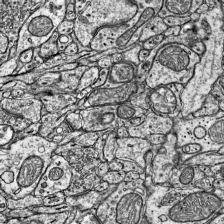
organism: Mouse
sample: Visual Cortex